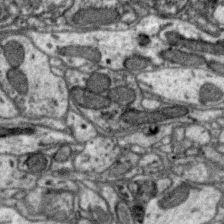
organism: Zebra finch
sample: Brain